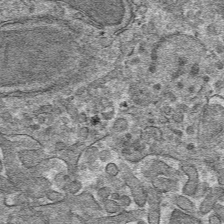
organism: Mouse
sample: Mouse hepatocytes